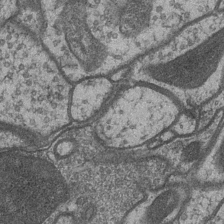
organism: Drosophila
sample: Optic medulla